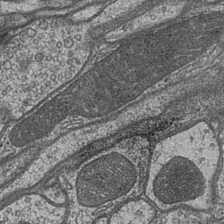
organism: Drosophila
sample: Optic medulla